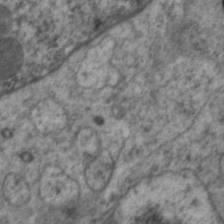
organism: C. elegans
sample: Pharynx